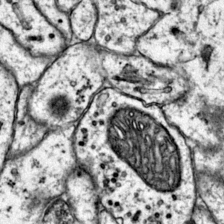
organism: Mouse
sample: Primary visual cortex